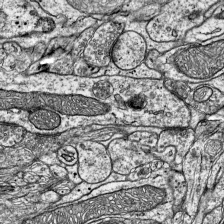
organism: Mouse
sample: Visual Cortex